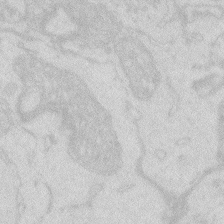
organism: Zebrafish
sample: Macrophage